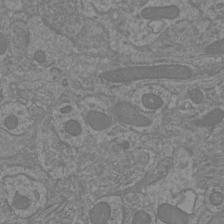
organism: Mouse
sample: Cortical neurons